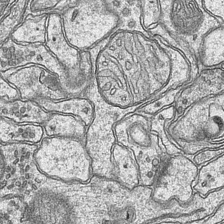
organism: Mouse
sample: CA1 Hippocampus